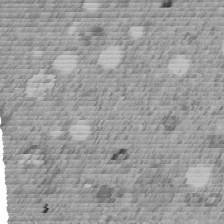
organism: C. elegans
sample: C. elegans embryo early stage